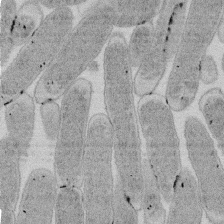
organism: E. coli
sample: Bacterial nucleoid